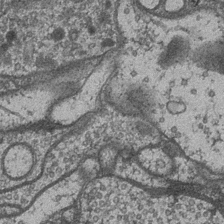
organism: Drosophila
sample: Optic medulla